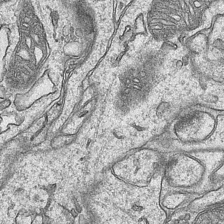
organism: Mouse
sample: CA1 Hippocampus